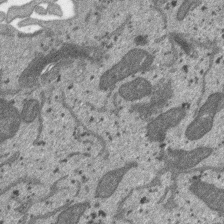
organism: Human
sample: Lung epithelial cells infected with SARS-CoV-2